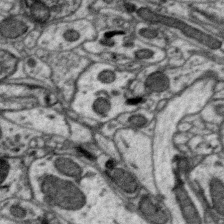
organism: Zebra finch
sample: Brain